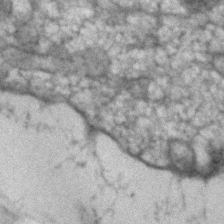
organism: Human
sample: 1205lu cells